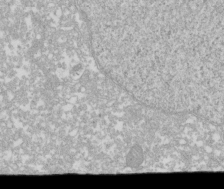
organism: Xenopus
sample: Cilia; centrioles in frog embryo cells